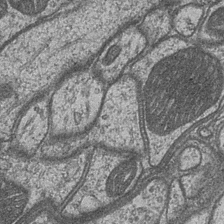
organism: Drosophila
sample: Optic medulla